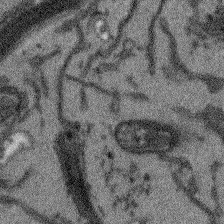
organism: Arabidopsis thaliana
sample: Root tip